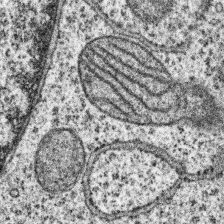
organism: Human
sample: HeLa cells